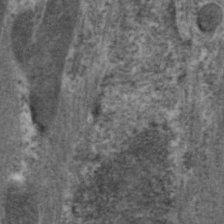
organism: C. elegans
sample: Pharynx